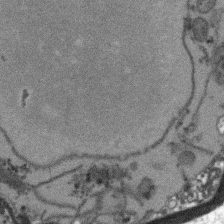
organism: Arabidopsis thaliana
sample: Root tip